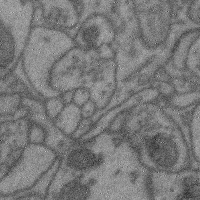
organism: Mouse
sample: Cerebral cortex